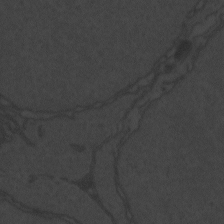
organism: Zebrafish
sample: Macrophage infected with Toxoplasma gondii